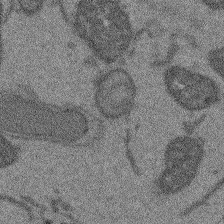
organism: Arabidopsis thaliana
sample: Root tip